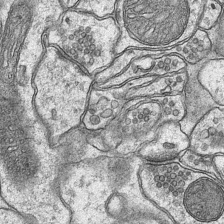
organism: Mouse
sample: CA1 Hippocampus